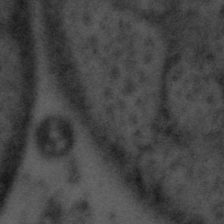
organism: Tuwongella immobilis